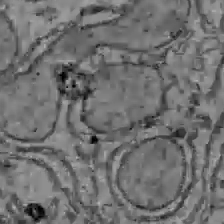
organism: C57BL Mouse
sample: Liver